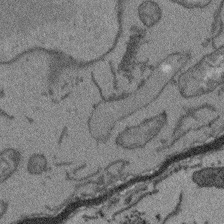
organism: Arabidopsis thaliana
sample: Root tip